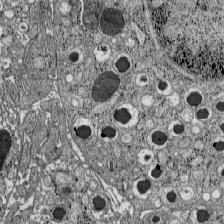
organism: C57BL Mouse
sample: Pancreatic islet